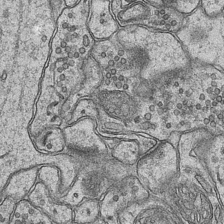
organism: Mouse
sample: CA1 Hippocampus